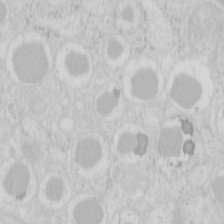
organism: Mouse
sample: Pancreas